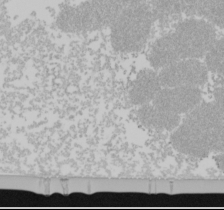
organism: Mouse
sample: Cancer cell death in ED-1 cells